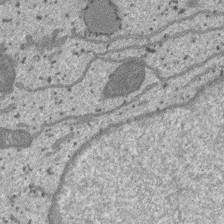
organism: Human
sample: Lung epithelial cells infected with SARS-CoV-2